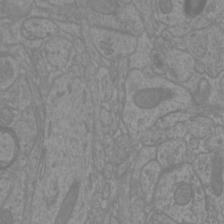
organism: Mouse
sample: Cortical neurons